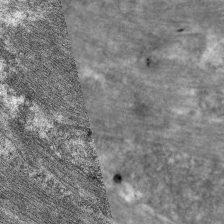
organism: C. elegans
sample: Pharynx